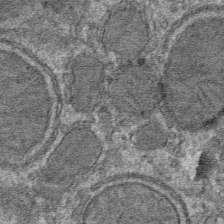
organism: Mouse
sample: Mouse hepatocytes